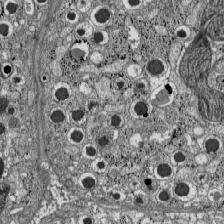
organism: C57BL Mouse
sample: Pancreatic islet